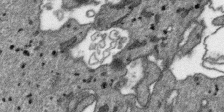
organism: Human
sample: Lung epithelial cells, uninfected (mock) control